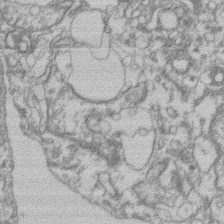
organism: Mouse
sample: T cell stromal cell synapse